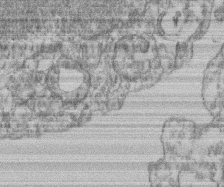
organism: Mouse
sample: T cell stromal cell synapse